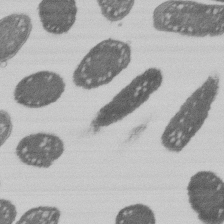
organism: E. coli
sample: Bacterial nucleoid